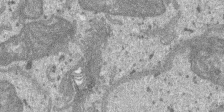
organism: Human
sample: Lung epithelial cells infected with SARS-CoV-2